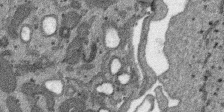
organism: Human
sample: Lung epithelial cells infected with SARS-CoV-2